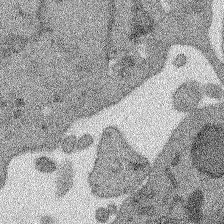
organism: Human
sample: HeLa cells